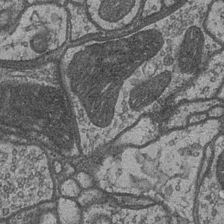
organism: Drosophila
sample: Optic medulla